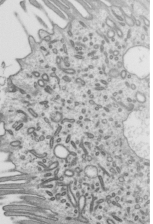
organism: Mouse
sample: Mouse epididymis efferent ductule cilia